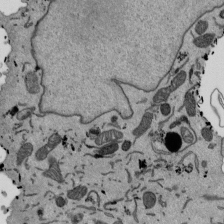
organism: Mouse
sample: ED-1 cell nuclei; centrioles